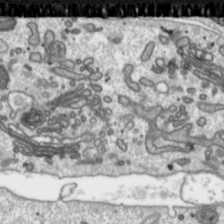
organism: Toxoplasma gondii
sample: Parasites in a vacuole inside a host cell